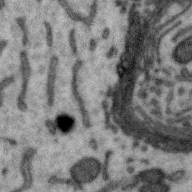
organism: Zebra finch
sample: Brain